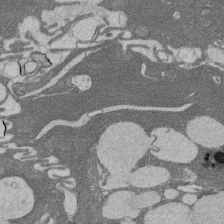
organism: Rat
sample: Salivary granule